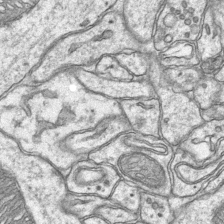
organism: Mouse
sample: CA1 Hippocampus